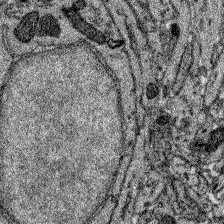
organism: Zebrafish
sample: Larval olfactory bulb